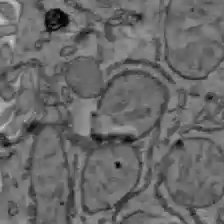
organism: C57BL Mouse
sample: Liver